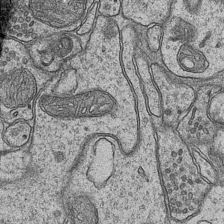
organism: Mouse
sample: CA1 Hippocampus